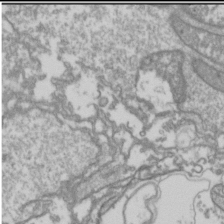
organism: Drosophila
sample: Cell division; meiosis; drosophila spermatocytes